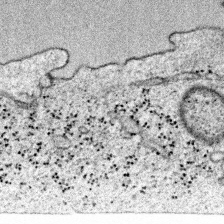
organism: Human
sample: HeLa cells